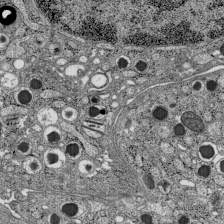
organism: C57BL Mouse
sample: Pancreatic islet